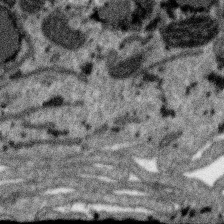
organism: Human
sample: Lung epithelial cells infected with SARS-CoV-2